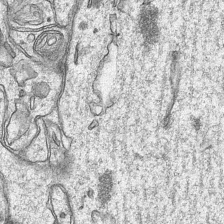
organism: Mouse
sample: CA1 Hippocampus